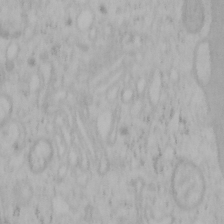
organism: Mouse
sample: OT-I killer T cells with ID8 ovarian cancer cells